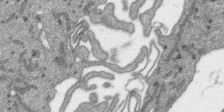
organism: Human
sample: Lung epithelial cells infected with SARS-CoV-2